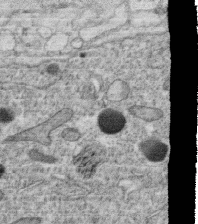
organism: C. elegans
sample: C. elegans oocyte; sperm cells